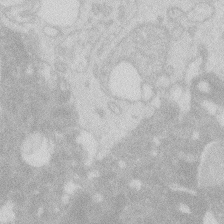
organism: Zebrafish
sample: Macrophage